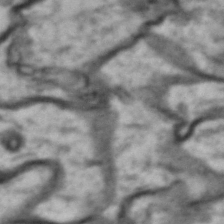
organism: Drosophila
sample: Brain